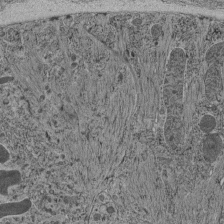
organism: C. elegans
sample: C. elegans pharynx